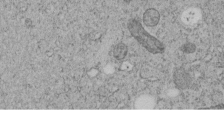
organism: C. elegans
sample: C. elegans embryo early stage